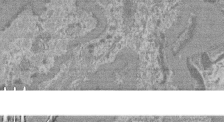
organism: Mouse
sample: Glomerulus